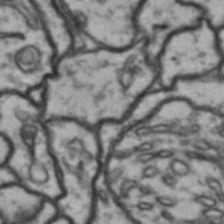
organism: Drosophila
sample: Brain